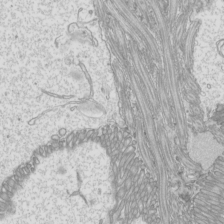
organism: Mouse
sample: Cilia; mouse epididymis